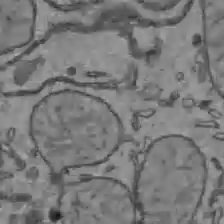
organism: C57BL Mouse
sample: Liver